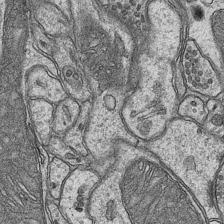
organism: Mouse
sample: CA1 Hippocampus